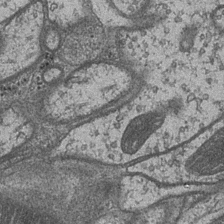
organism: Drosophila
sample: Optic medulla